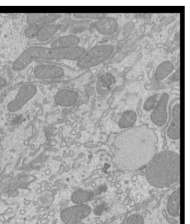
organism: Mouse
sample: Cilia; mouse epididymis